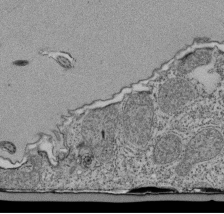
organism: Tetrahymena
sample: Cilia in tetrahymena